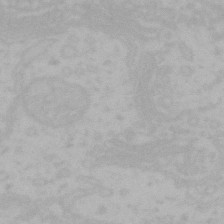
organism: Mouse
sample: Choroid plexus